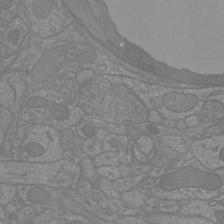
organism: Mouse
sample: Cortical neurons